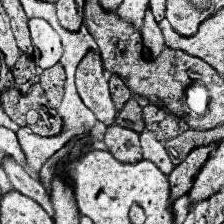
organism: Human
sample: Temporal Lobe